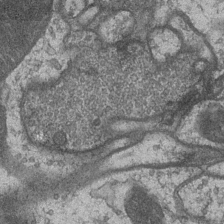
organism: Drosophila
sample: Optic medulla